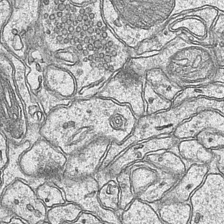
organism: Mouse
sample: CA1 Hippocampus